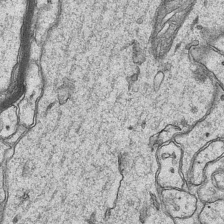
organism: Mouse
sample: CA1 Hippocampus